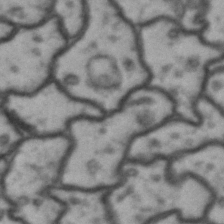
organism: Drosophila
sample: Brain